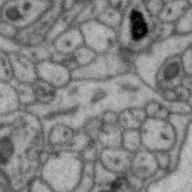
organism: Zebra finch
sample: Brain